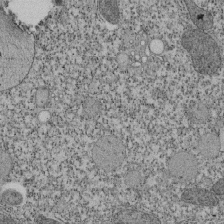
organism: Tetrahymena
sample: Cilia in tetrahymena